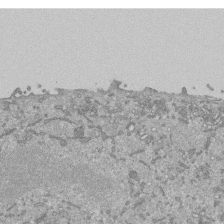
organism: Mouse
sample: ED-1 cell nuclei; centrioles